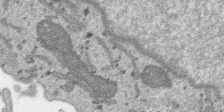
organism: Human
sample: Lung epithelial cells infected with SARS-CoV-2